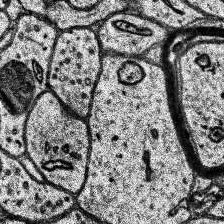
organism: Human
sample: Temporal Lobe